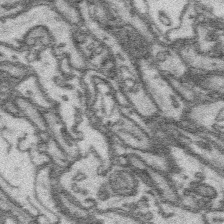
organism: Platynereis dumerilii